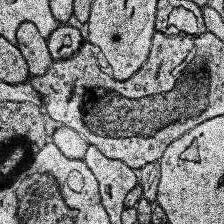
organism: Human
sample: Temporal Lobe